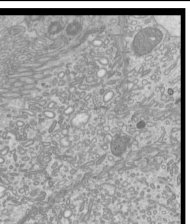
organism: Mouse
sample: Cilia; mouse epididymis